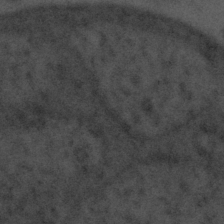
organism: Tuwongella immobilis